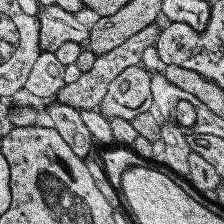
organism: Human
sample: Temporal Lobe